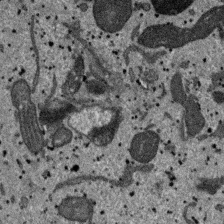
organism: Human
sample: Lung epithelial cells, uninfected (mock) control